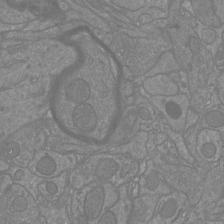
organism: Mouse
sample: Cortical neurons